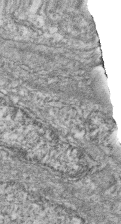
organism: Zebrafish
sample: Cilia; retinal pigment epithelium